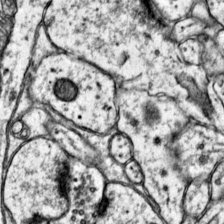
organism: Mouse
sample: Primary visual cortex